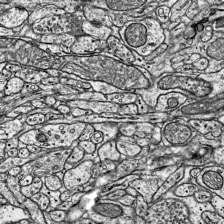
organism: Mouse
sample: Visual Cortex